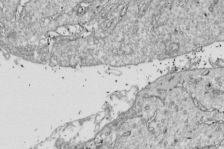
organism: Drosophila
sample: Cell division; meiosis; drosophila spermatocytes